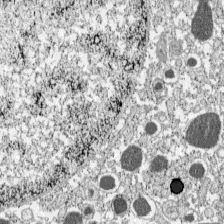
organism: C57BL Mouse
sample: Pancreatic islet